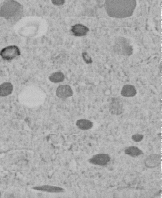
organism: C. elegans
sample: C. elegans embryo early stage